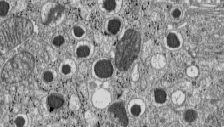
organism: C57BL Mouse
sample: Pancreatic islet